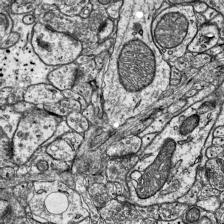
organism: Mouse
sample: Visual Cortex